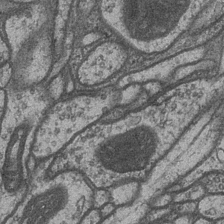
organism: Drosophila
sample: Optic medulla